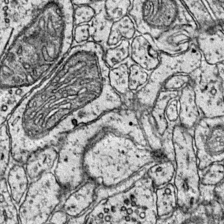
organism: Mouse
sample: Primary visual cortex